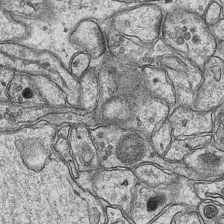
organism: Mouse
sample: CA1 Hippocampus